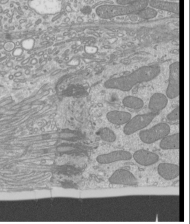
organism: Mouse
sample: Cilia; mouse epididymis